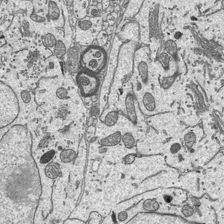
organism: Mouse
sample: Suprachiasmatic nucleus